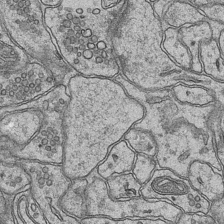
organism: Mouse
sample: CA1 Hippocampus